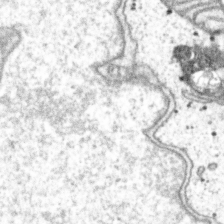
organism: Human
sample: HeLa cells